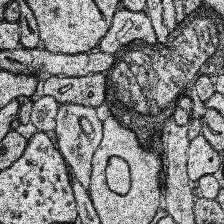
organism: Human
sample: Temporal Lobe